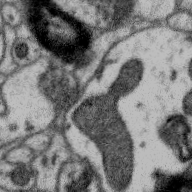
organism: Zebra finch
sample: Brain